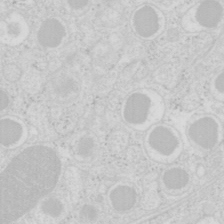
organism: Mouse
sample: Pancreas